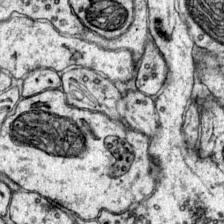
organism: Mouse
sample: Primary visual cortex